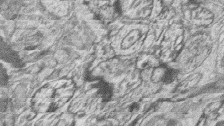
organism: Zebrafish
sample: synaptic ribbons in rod cells and cone cells